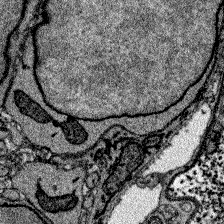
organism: Zebrafish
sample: Larval olfactory bulb